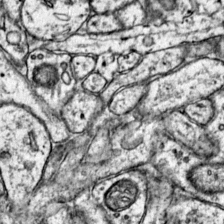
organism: Mouse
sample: Primary visual cortex